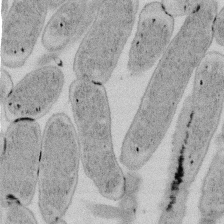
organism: E. coli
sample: Bacterial nucleoid